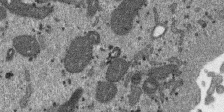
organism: Human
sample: Lung epithelial cells infected with SARS-CoV-2